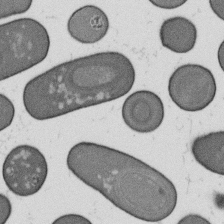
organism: B. subtilis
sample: Bacterial spore